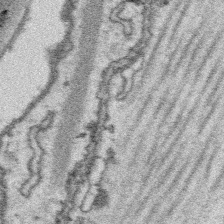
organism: Platynereis dumerilii